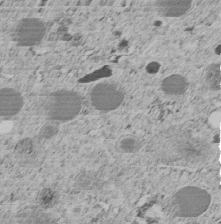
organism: C. elegans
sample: C. elegans embryo early stage